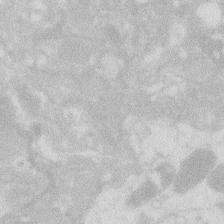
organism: Zebrafish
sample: Macrophage